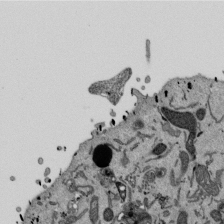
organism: Mouse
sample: ED-1 cell nuclei; centrioles